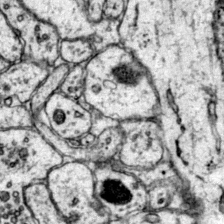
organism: Mouse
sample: Primary visual cortex